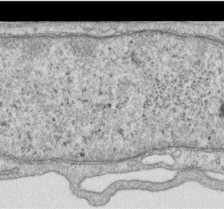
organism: Human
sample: Centriole in RPE cells